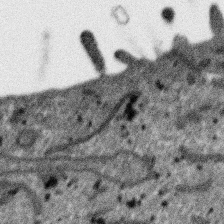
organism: Human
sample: Lung epithelial cells infected with SARS-CoV-2